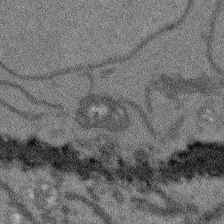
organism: Arabidopsis thaliana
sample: Root tip